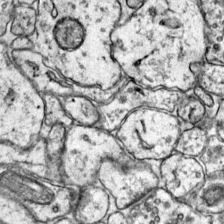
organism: Mouse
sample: Primary visual cortex